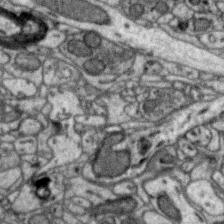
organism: Zebra finch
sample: Brain